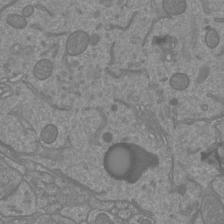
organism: Mouse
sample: Cortical neurons